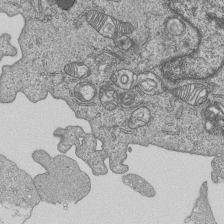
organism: Human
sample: MDA-MB-231 cells